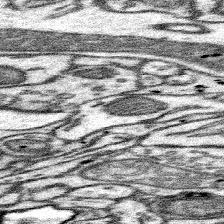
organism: Mouse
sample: Somatosensory cortex neuropil